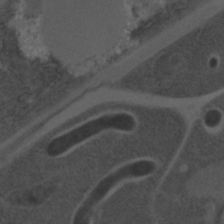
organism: C. elegans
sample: C. elegans embryo